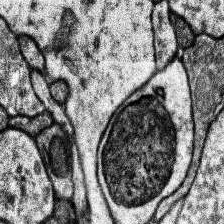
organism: Human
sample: Temporal Lobe